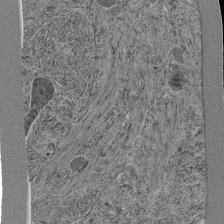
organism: C. elegans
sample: C. elegans pharynx